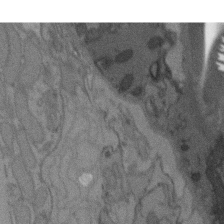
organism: C. elegans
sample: AFD neurons C. elegans